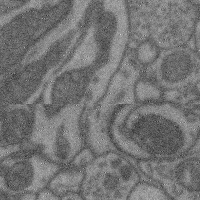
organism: Mouse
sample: Cerebral cortex